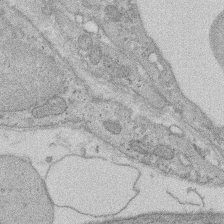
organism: Rat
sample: Salivary granule